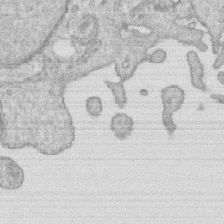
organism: Human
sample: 1205lu cells